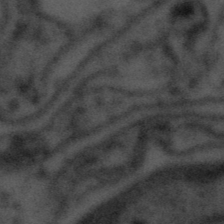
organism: Tuwongella immobilis